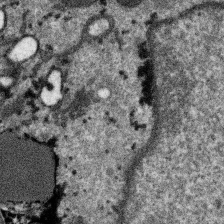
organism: Human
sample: Lung epithelial cells infected with SARS-CoV-2